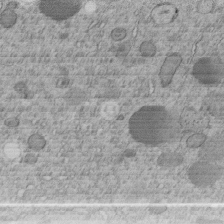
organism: C. elegans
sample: C. elegans embryo early stage